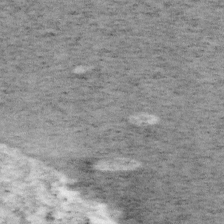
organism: Mouse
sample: OT-I killer T cells with ID8 ovarian cancer cells